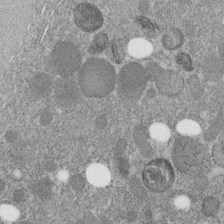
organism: C. elegans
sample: C. elegans embryo early stage